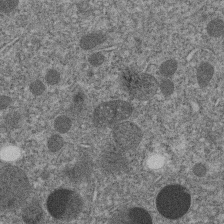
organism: C. elegans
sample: C. elegans embryo early stage